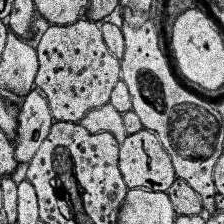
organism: Human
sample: Temporal Lobe